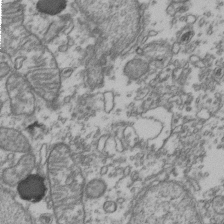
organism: Human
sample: Activated Jurkat CD4+ T cells